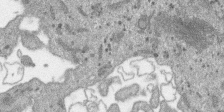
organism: Human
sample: Lung epithelial cells infected with SARS-CoV-2